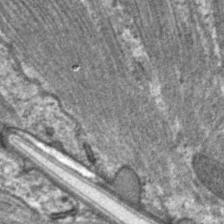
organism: C. elegans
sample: Pharynx